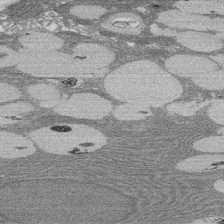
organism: Rat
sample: Salivary granule